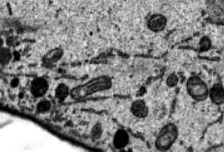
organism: Human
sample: HeLa cells